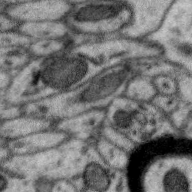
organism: Zebra finch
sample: Brain